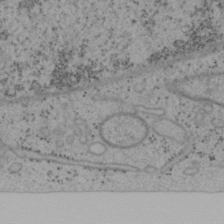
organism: Human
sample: HeLa cells